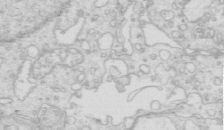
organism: Mouse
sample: Multiciliated cells